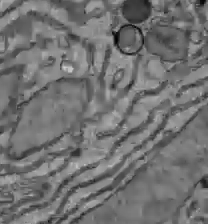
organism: C57BL Mouse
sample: Liver